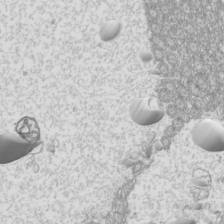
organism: Mouse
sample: Cilia; mouse epididymis